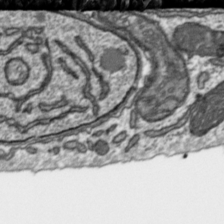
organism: Toxoplasma gondii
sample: Parasites in a vacuole inside a host cell